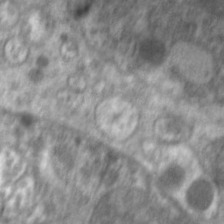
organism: C. elegans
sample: Pharynx